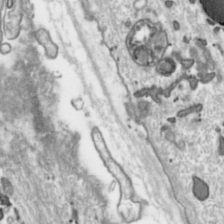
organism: Toxoplasma gondii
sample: Parasites in a vacuole inside a host cell